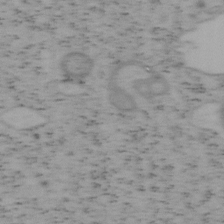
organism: Mouse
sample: OT-I killer T cells with ID8 ovarian cancer cells